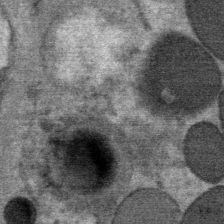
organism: Mouse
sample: Mouse Salivary gland